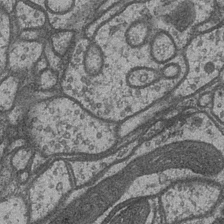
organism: Drosophila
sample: Optic medulla